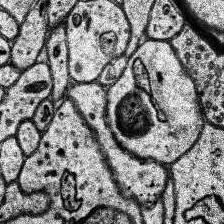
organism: Human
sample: Temporal Lobe